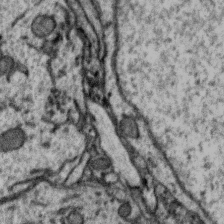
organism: Zebra finch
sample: Brain